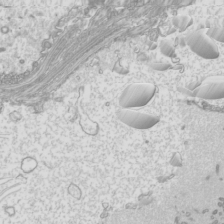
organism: Mouse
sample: Cilia; mouse epididymis